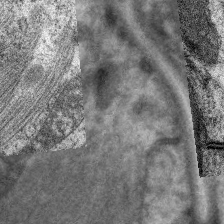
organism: C. elegans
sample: Pharynx